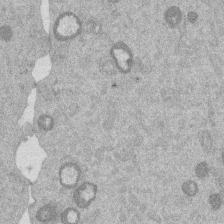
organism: Mouse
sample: Dividing mouse embryo 1 cell stage